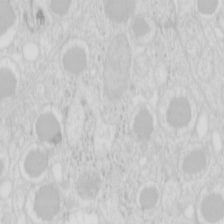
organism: Mouse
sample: Pancreas